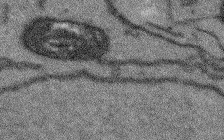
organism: Arabidopsis thaliana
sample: Root tip